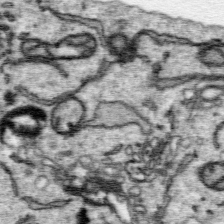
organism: Human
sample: HeLa cells